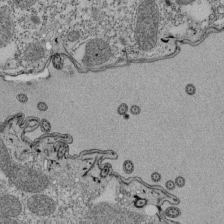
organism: Tetrahymena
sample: Cilia in tetrahymena